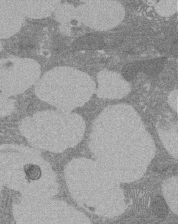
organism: Rat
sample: Salivary granule